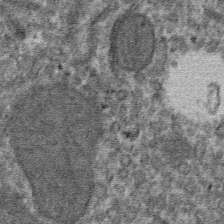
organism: Mouse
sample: Mouse hepatocytes